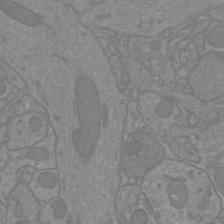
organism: Mouse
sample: Cortical neurons